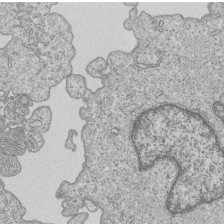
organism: Human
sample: MDA-MB-231 cells